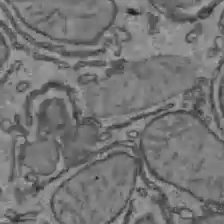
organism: C57BL Mouse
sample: Liver